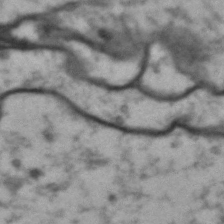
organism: Drosophila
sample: Brain